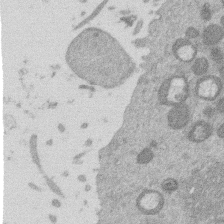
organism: Mouse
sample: Dividing mouse embryo 1 cell stage